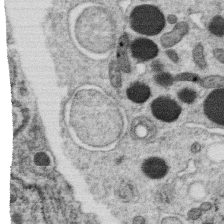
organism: C. elegans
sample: C. elegans oocyte; sperm cells